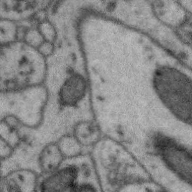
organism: Zebra finch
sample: Brain